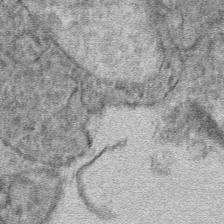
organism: Mouse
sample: Mouse hepatocytes